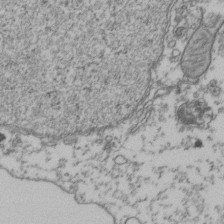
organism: Human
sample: Activated Jurkat CD4+ T cells